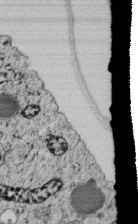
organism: C. elegans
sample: C. elegans embryo early stage